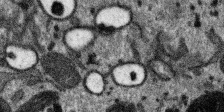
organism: Human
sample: Lung epithelial cells infected with SARS-CoV-2